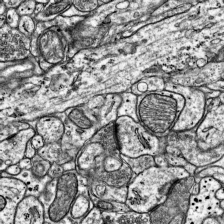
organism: Mouse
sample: Visual Cortex